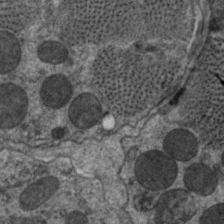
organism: C. elegans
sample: Pharynx